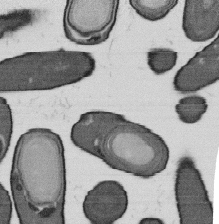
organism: B. subtilis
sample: Bacterial spore